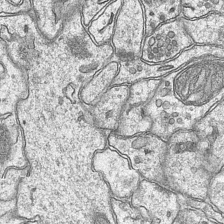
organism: Mouse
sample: CA1 Hippocampus